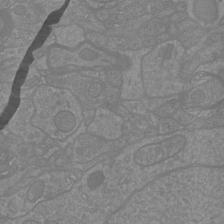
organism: Mouse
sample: Cortical neurons